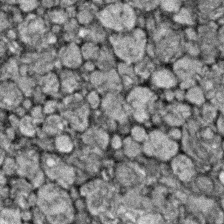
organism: Zebrafish